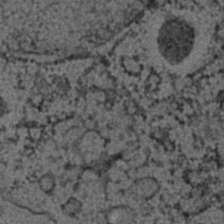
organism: C. elegans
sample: C. elegans embryo